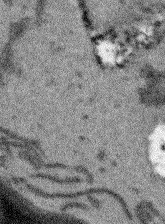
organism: Arabidopsis thaliana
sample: Root tip